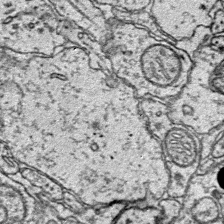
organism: Mouse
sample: Primary visual cortex